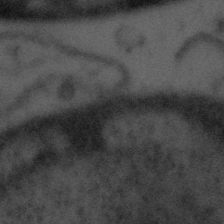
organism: Tuwongella immobilis